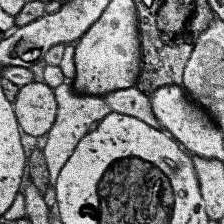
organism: Human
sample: Temporal Lobe